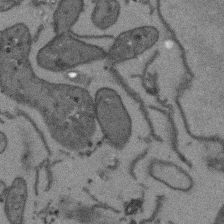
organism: Arabidopsis thaliana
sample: Root tip